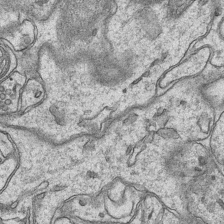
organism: Mouse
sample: CA1 Hippocampus